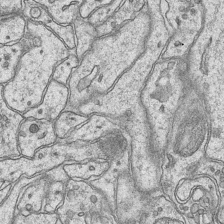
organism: Mouse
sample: CA1 Hippocampus